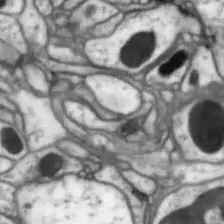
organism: Drosophila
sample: Optic lobe